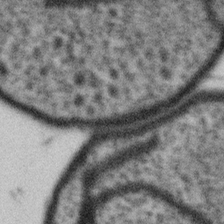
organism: Gemmata obscuriglobus